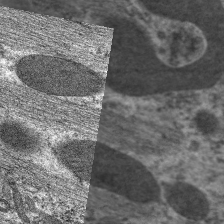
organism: C. elegans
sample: Pharynx